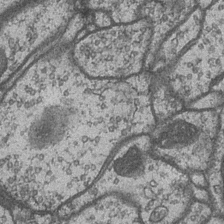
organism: Drosophila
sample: Optic medulla